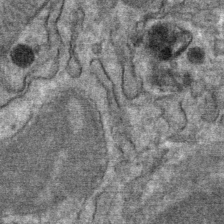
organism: Mouse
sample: Mouse Salivary gland